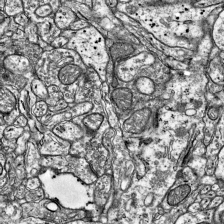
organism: Mouse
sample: Visual Cortex